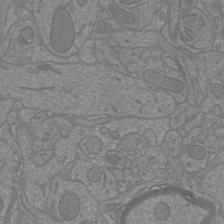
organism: Mouse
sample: Cortical neurons